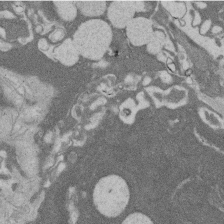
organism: Rat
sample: Salivary granule